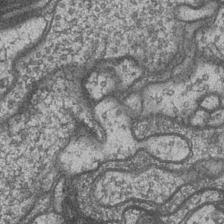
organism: Drosophila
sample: Optic medulla